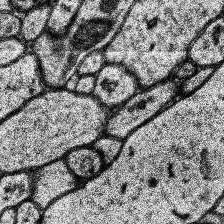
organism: Human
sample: Temporal Lobe